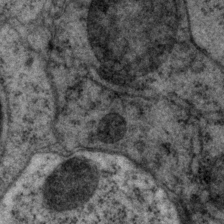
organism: P. pacificus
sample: Pharynx